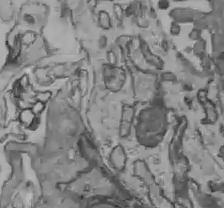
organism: C57BL Mouse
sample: Liver